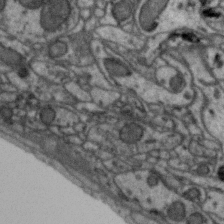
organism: Zebra finch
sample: Brain